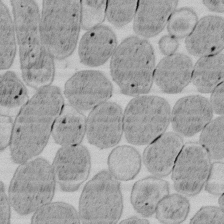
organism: E. coli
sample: Bacterial nucleoid